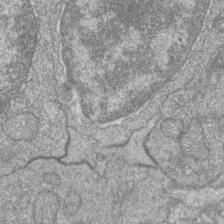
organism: Zebrafish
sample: Cilia; retinal pigment epithelium